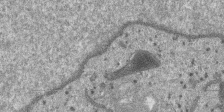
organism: Human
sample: Lung epithelial cells infected with SARS-CoV-2